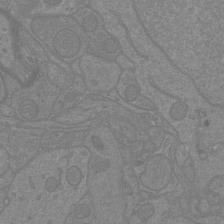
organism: Mouse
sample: Cortical neurons